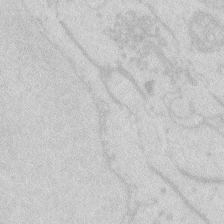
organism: Zebrafish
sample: Macrophage